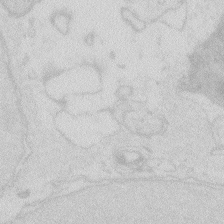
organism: Zebrafish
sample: Macrophage